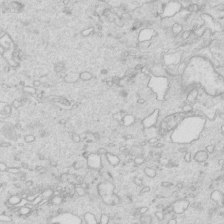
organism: Mouse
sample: Multiciliated cells